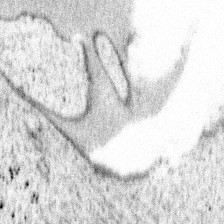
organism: Human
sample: HeLa cells